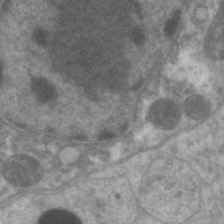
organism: C. elegans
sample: Pharynx